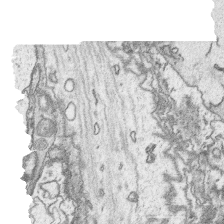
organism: Platynereis dumerilii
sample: Parapodia